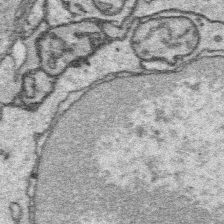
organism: Platynereis dumerilii